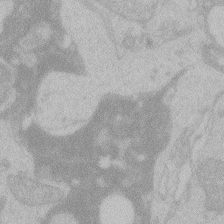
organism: Zebrafish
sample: Macrophage infected with Toxoplasma gondii